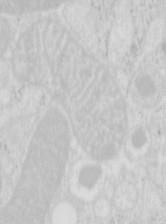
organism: Mouse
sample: Pancreas